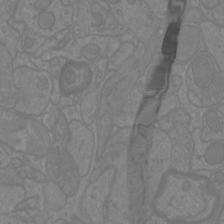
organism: Mouse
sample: Cortical neurons